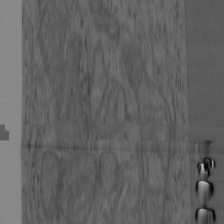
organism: Human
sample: HeLa cells